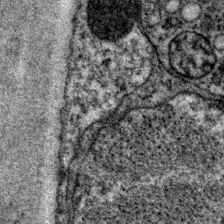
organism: P. pacificus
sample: Pharynx